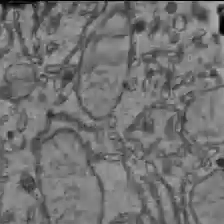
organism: C57BL Mouse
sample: Liver